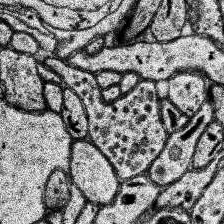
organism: Human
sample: Temporal Lobe